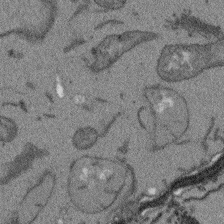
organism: Arabidopsis thaliana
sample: Root tip